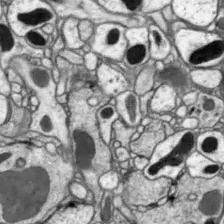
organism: Drosophila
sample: Optic lobe